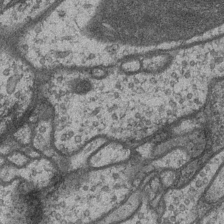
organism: Drosophila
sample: Optic medulla